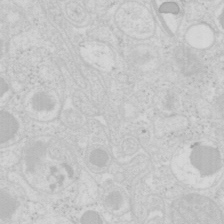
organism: Mouse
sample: Pancreas